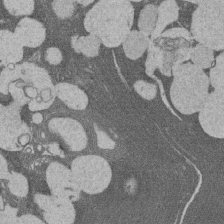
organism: Rat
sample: Salivary granule